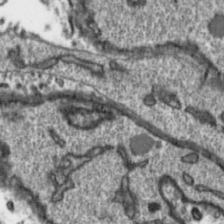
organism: Toxoplasma gondii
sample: Parasites in a vacuole inside a host cell